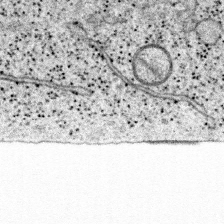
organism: Human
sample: HeLa cells